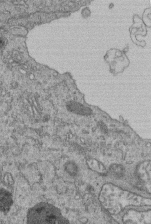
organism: Human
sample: Retinal organoid Rod and Cone cells